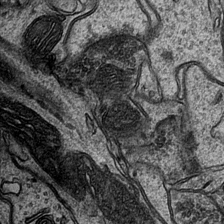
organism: Mouse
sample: CA1 Hippocampus